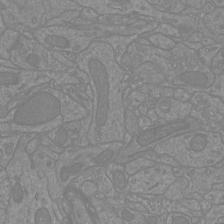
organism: Mouse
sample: Cortical neurons